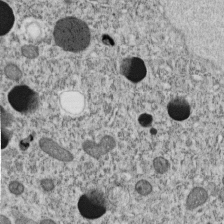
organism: C. elegans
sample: C. elegans embryo early stage